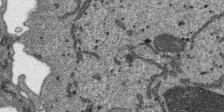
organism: Human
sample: Lung epithelial cells infected with SARS-CoV-2